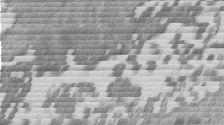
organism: Mouse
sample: Dividing mouse embryo 1 cell stage